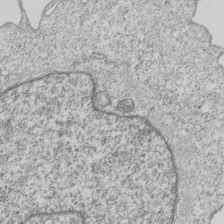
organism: Human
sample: MDA-MB-231 cells